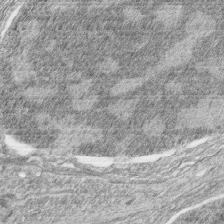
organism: Zebrafish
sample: synaptic ribbons in rod cells and cone cells